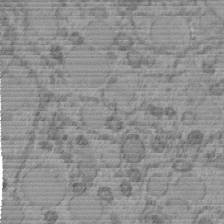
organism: C. elegans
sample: C. elegans embryo early stage